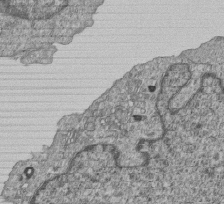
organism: Human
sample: MDA-MB-231 cells